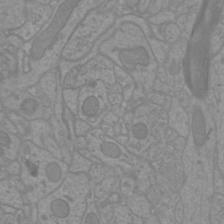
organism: Mouse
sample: Cortical neurons